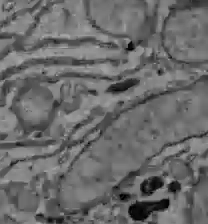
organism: C57BL Mouse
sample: Liver